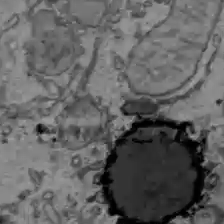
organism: C57BL Mouse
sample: Liver